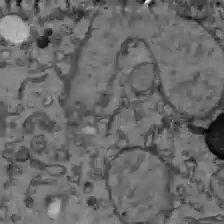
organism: C57BL Mouse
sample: Liver